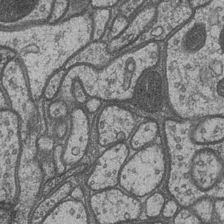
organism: Drosophila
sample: Optic medulla